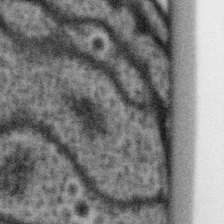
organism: Gemmata obscuriglobus